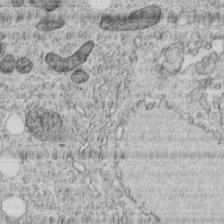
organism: C. elegans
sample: C. elegans embryo early stage